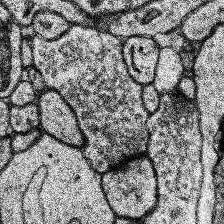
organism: Human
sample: Temporal Lobe